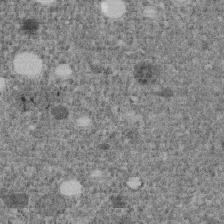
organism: C. elegans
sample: C. elegans embryo early stage